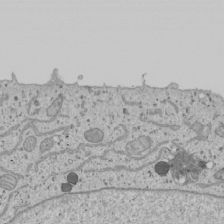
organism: Human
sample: Mitochondria in U2OS cells